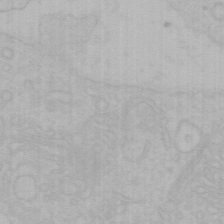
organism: Mouse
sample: Choroid plexus